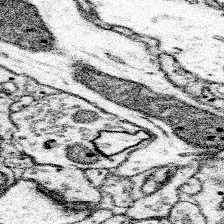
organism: Mouse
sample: Somatosensory cortex neuropil